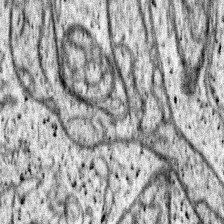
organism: Human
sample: HeLa cells